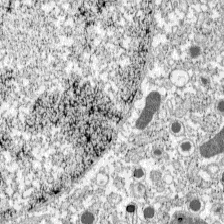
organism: C57BL Mouse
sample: Pancreatic islet